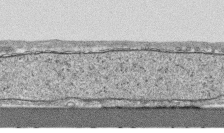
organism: Human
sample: CRL-1474